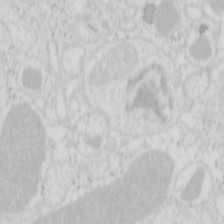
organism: Mouse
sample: Pancreas